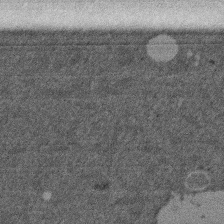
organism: Mouse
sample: Dividing mouse embryo 1 cell stage